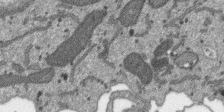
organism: Human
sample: Lung epithelial cells infected with SARS-CoV-2